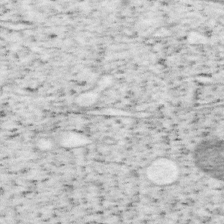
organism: Mouse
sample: OT-I killer T cells with ID8 ovarian cancer cells